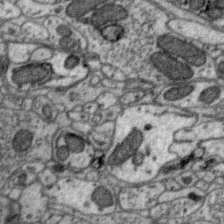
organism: Zebra finch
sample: Brain